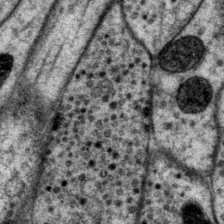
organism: P. pacificus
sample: Pharynx